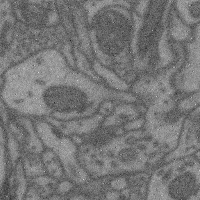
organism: Mouse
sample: Cerebral cortex